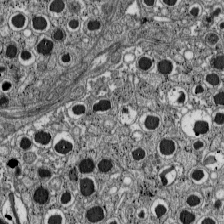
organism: C57BL Mouse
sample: Pancreatic islet